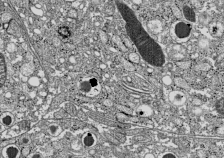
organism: C57BL Mouse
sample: Pancreatic islet